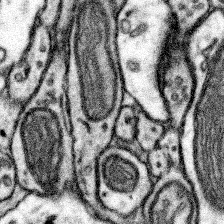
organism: Mouse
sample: Somatosensory cortex neuropil